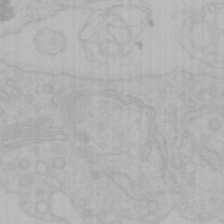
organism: Mouse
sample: Choroid plexus